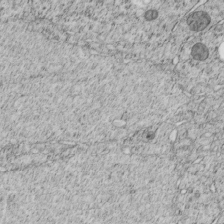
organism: C. elegans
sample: C. elegans embryo early stage